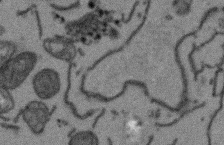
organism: Arabidopsis thaliana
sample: Root tip